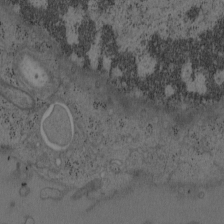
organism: Mouse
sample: OT-I killer T cells with ID8 ovarian cancer cells